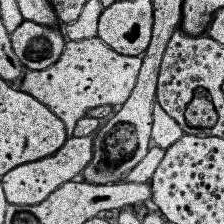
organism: Human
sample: Temporal Lobe